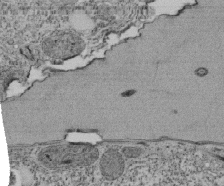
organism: Tetrahymena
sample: Cilia in tetrahymena